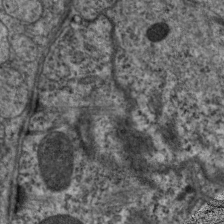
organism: C. elegans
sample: Pharynx